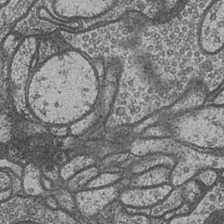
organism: Drosophila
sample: Optic medulla